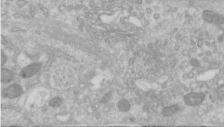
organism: Human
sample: Centriole in RPE cells